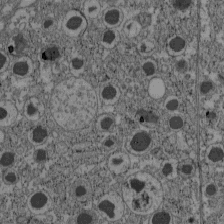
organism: C57BL Mouse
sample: Pancreatic islet